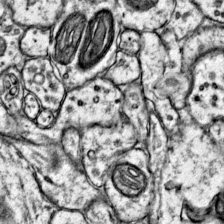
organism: Mouse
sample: Primary visual cortex